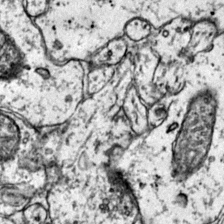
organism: Mouse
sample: Primary visual cortex